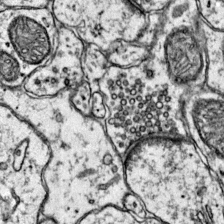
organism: Mouse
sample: Primary visual cortex